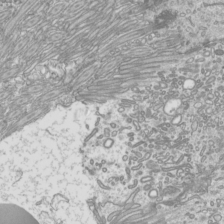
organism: Mouse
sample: Cilia; mouse epididymis